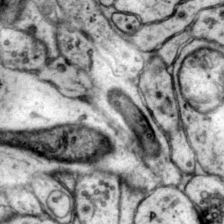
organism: Mouse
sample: Primary visual cortex